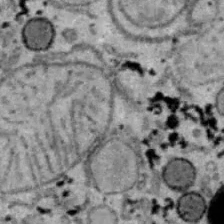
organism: Mouse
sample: Liver from an obese (ob/ob) mouse